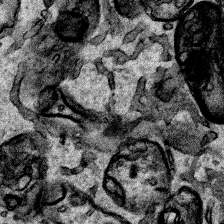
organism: Human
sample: Mitochondria in HCT116 cells